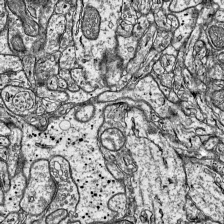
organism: Mouse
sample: Visual Cortex